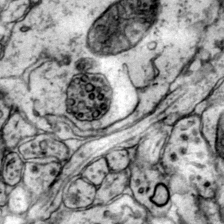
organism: Mouse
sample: Primary visual cortex